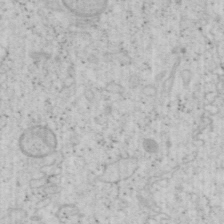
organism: Human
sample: HeLa cells